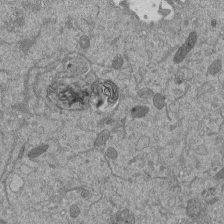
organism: Mouse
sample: ED-1 cell nuclei; centrioles